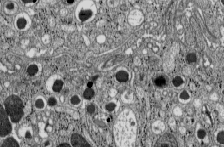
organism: C57BL Mouse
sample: Pancreatic islet